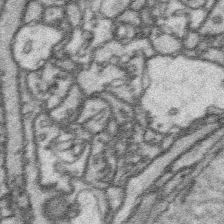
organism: Platynereis dumerilii